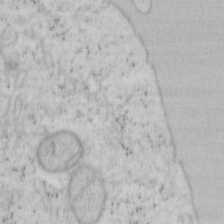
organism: Human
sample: HeLa cells